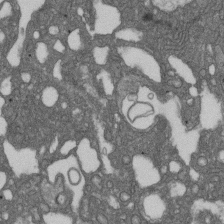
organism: Drosophila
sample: Nephrocyte